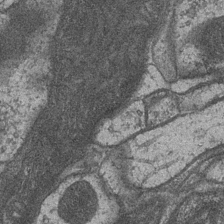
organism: Drosophila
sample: Optic medulla